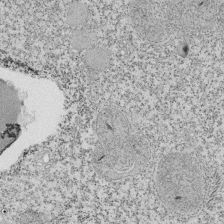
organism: Tetrahymena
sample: Cilia in tetrahymena